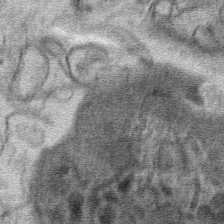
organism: Mouse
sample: Mouse hepatocytes